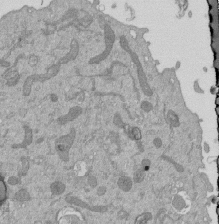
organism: Mouse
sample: ED-1 cell nuclei; centrioles